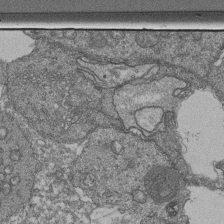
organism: Human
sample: Retinal organoid Rod and Cone cells